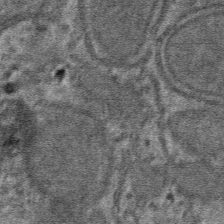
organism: Mouse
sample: Mouse hepatocytes